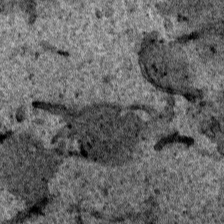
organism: Human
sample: Mitochondria in HCT116 cells